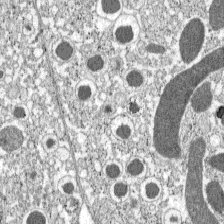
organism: C57BL Mouse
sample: Pancreatic islet